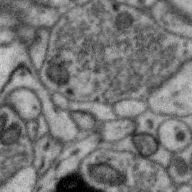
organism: Zebra finch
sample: Brain